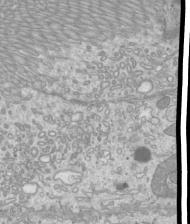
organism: Mouse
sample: Cilia; mouse epididymis